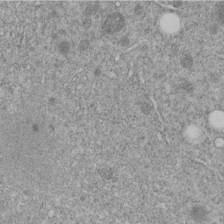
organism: C. elegans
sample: C. elegans embryo early stage